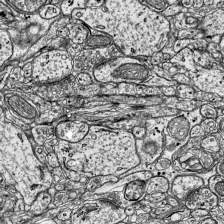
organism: Mouse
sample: Visual Cortex